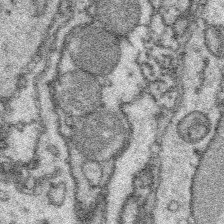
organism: Platynereis dumerilii